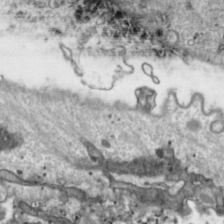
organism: Toxoplasma gondii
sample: Parasites in a vacuole inside a host cell